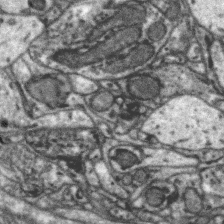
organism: Zebra finch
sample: Brain